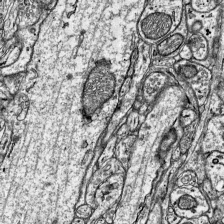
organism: Mouse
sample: Visual Cortex